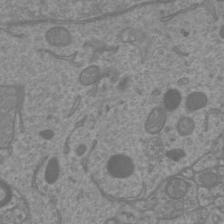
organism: Mouse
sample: Cortical neurons